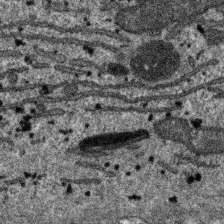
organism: Human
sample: Lung epithelial cells infected with SARS-CoV-2